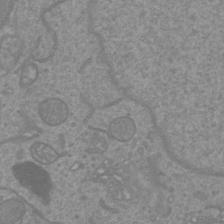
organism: Mouse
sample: Cortical neurons